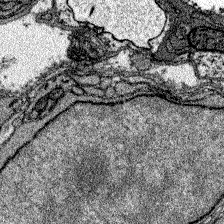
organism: Zebrafish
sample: Larval olfactory bulb